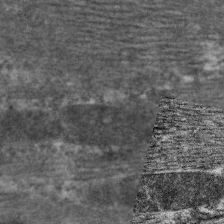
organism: C. elegans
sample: Pharynx